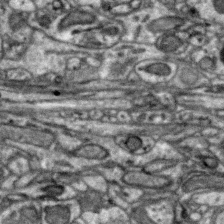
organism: Zebra finch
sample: Brain